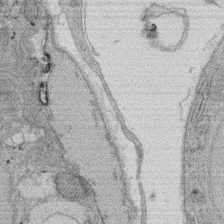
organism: Rat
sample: Salivary granule